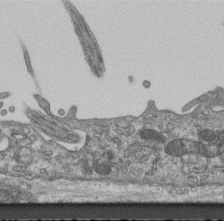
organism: Mouse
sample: Centriole in ependymal cells